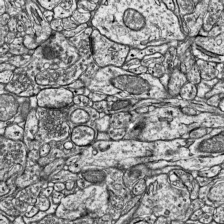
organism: Mouse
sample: Visual Cortex